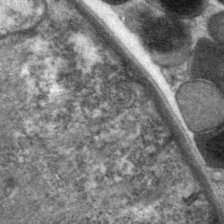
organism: C. elegans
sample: Pharynx